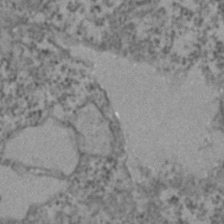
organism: Zebrafish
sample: Zebrafish embryo